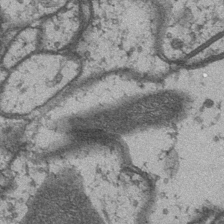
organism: Drosophila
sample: Optic medulla